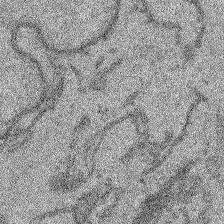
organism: Human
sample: HeLa cells